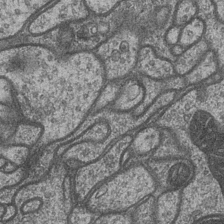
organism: Drosophila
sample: Optic medulla